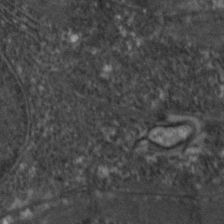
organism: Zebrafish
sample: Zebrafish embryo